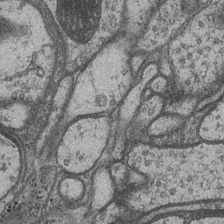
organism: Drosophila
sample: Optic medulla